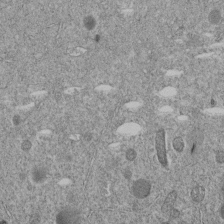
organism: C. elegans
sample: C. elegans embryo early stage